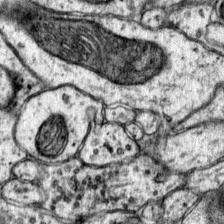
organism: Mouse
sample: Primary visual cortex